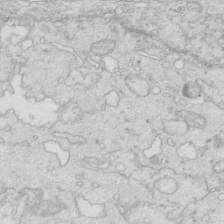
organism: Mouse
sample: Multiciliated cells